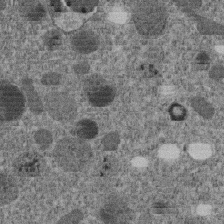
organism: C. elegans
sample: C. elegans embryo early stage